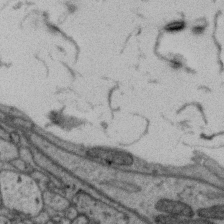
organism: Zebra finch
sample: Brain